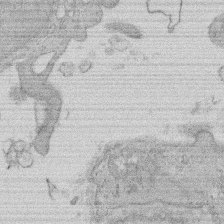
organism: Rat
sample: Salivary granule